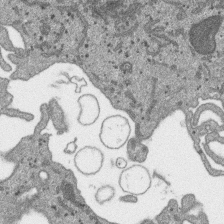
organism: Human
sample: Lung epithelial cells infected with SARS-CoV-2